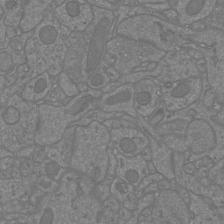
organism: Mouse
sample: Cortical neurons